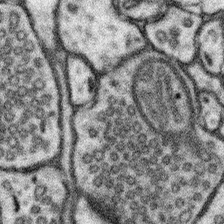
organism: Mouse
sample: Somatosensory cortex neuropil